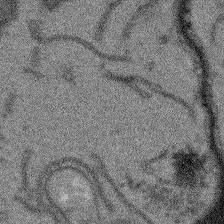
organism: Arabidopsis thaliana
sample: Root tip